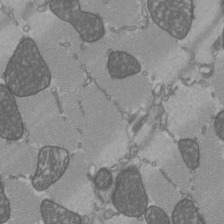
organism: C57BL Mouse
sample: Heart